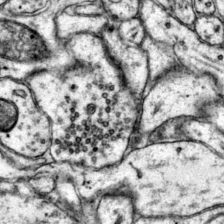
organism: Mouse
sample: Primary visual cortex